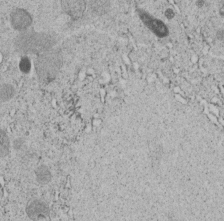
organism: C. elegans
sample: C. elegans embryo early stage